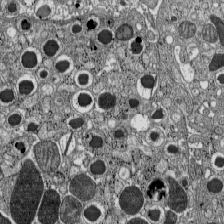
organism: C57BL Mouse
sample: Pancreatic islet